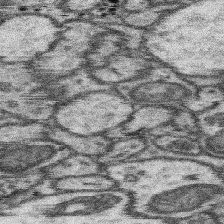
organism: Mouse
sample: Somatosensory cortex neuropil